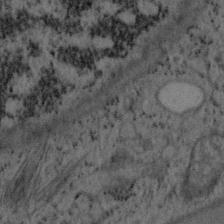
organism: Human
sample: HeLa cells